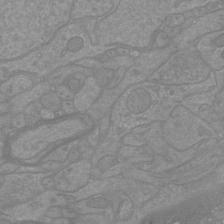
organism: Mouse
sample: Cortical neurons